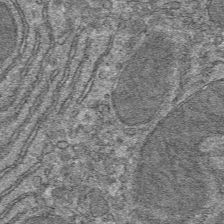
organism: Mouse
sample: Mouse hepatocytes